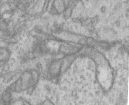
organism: Human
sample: Centriole in RPE cells